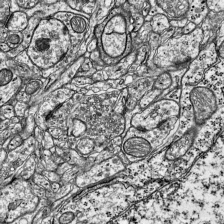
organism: Mouse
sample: Visual Cortex